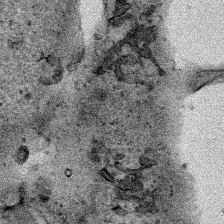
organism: Human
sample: Mitochondria in HCT116 cells